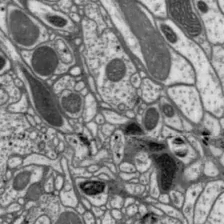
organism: Drosophila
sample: Protocerebral bridge